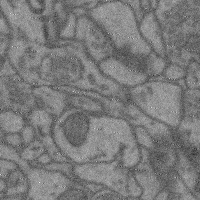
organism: Mouse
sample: Cerebral cortex